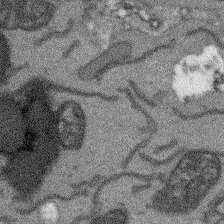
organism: Arabidopsis thaliana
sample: Root tip